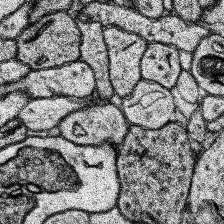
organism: Human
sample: Temporal Lobe